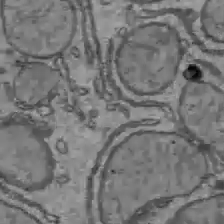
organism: C57BL Mouse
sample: Liver